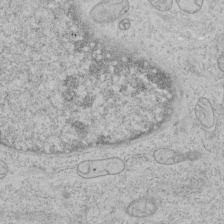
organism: Human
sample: Mitochondria in HCT116 cells